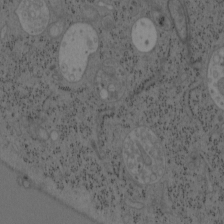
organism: Mouse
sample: OT-I killer T cells with ID8 ovarian cancer cells